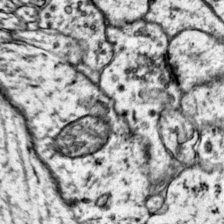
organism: Mouse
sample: Primary visual cortex